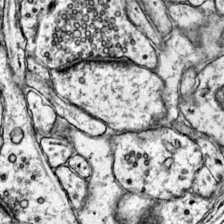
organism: Mouse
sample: Primary visual cortex